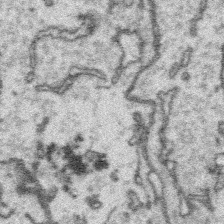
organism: Platynereis dumerilii